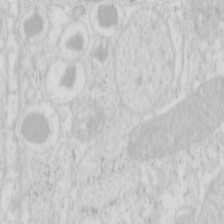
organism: Mouse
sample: Pancreas